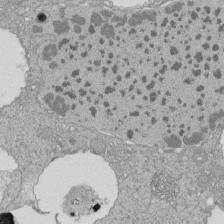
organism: Tetrahymena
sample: Cilia in tetrahymena